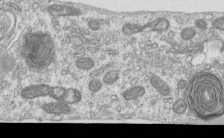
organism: Human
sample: Centriole in RPE cells